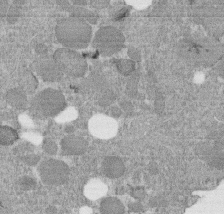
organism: C. elegans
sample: C. elegans embryo early stage